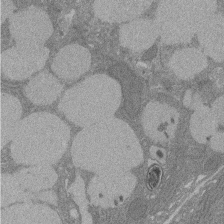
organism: Rat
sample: Salivary granule